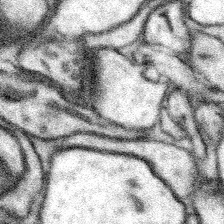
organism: Mouse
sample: Somatosensory cortex neuropil